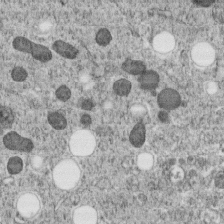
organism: C. elegans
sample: C. elegans embryo early stage